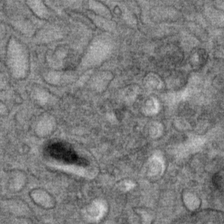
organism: Mouse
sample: Mouse Salivary gland